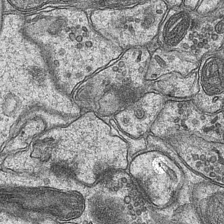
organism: Mouse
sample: CA1 Hippocampus